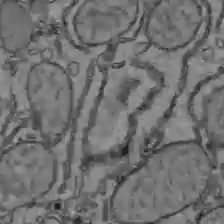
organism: C57BL Mouse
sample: Liver